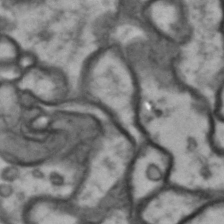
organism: Drosophila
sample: Brain